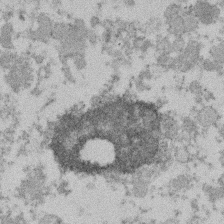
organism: Mouse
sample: Dividing mouse embryo 1 cell stage